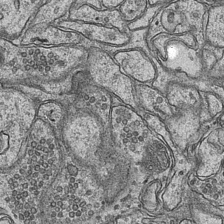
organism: Mouse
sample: CA1 Hippocampus